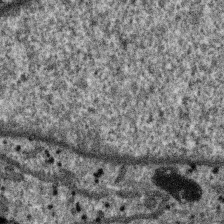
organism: Human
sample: Lung epithelial cells infected with SARS-CoV-2